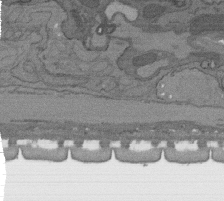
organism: C. elegans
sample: AFD neurons C. elegans